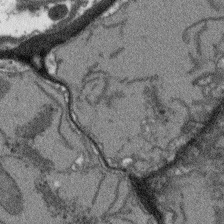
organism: Arabidopsis thaliana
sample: Root tip